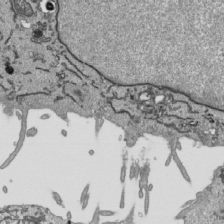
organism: Human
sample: Mitochondria in HCT116 cells